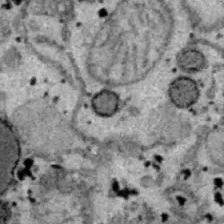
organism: Mouse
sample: Liver from an obese (ob/ob) mouse